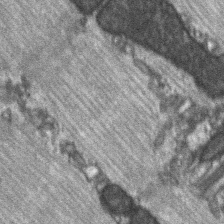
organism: C57BL Mouse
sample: Soleus